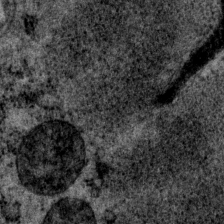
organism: P. pacificus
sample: Pharynx